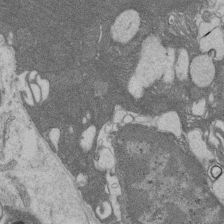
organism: Rat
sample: Salivary granule